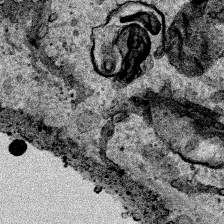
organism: Human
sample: Mitochondria in HCT116 cells